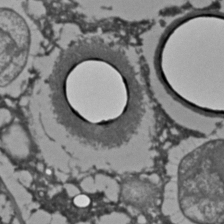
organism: C. elegans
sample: C. elegans embryo